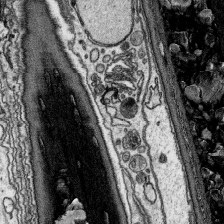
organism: Platynereis dumerilii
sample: Parapodia